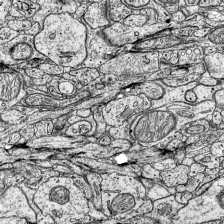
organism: Mouse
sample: Visual Cortex